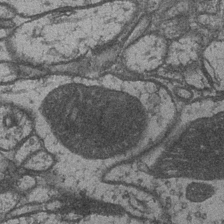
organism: Drosophila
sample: Optic medulla